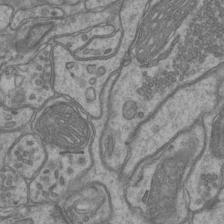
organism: Mouse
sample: CA1 Hippocampus